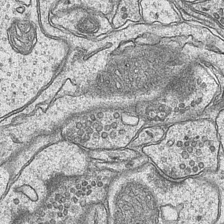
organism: Mouse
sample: CA1 Hippocampus